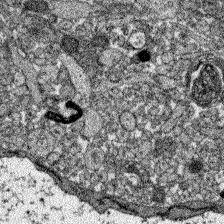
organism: Zebrafish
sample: Larval olfactory bulb